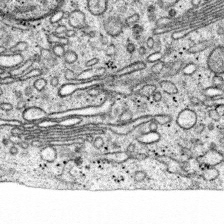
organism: Human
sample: HeLa cells